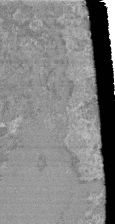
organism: Mouse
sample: Glomerulus